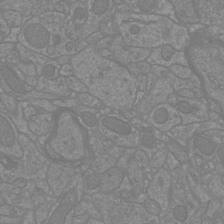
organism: Mouse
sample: Cortical neurons